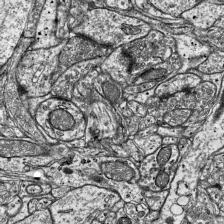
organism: Mouse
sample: Visual Cortex